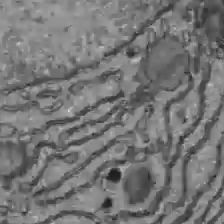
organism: C57BL Mouse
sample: Liver